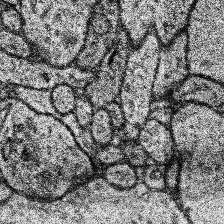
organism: Human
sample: Temporal Lobe